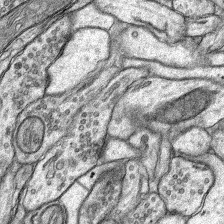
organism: Rat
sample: Hippocampus